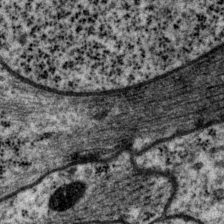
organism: P. pacificus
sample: Pharynx